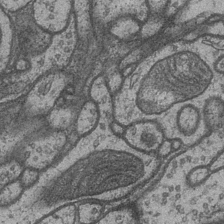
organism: Drosophila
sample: Optic medulla